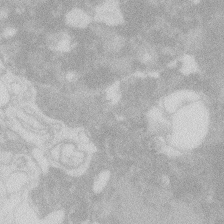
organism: Zebrafish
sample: Macrophage